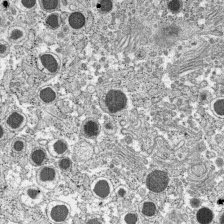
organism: C57BL Mouse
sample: Pancreatic islet